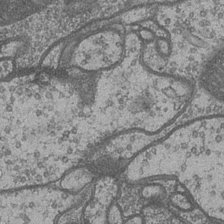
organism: Drosophila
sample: Optic medulla